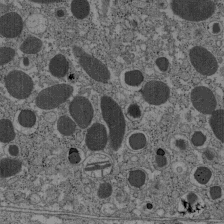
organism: C57BL Mouse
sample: Pancreatic islet